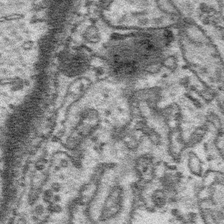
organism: Platynereis dumerilii